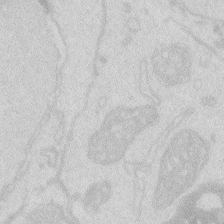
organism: Zebrafish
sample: Macrophage